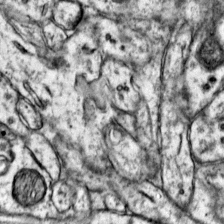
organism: Mouse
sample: Primary visual cortex